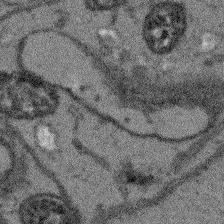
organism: Arabidopsis thaliana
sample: Root tip